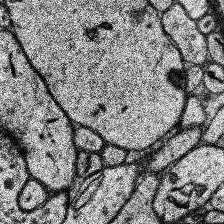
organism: Human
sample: Temporal Lobe